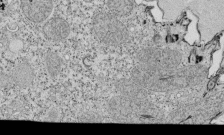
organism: Tetrahymena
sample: Cilia in tetrahymena